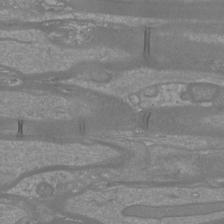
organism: Mouse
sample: Cortical neurons